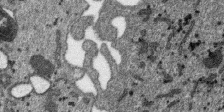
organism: Human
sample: Lung epithelial cells infected with SARS-CoV-2